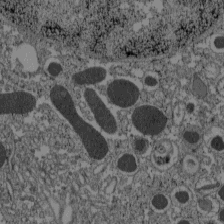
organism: C57BL Mouse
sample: Pancreatic islet